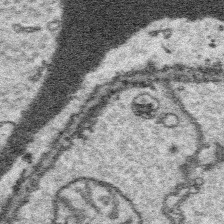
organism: Platynereis dumerilii